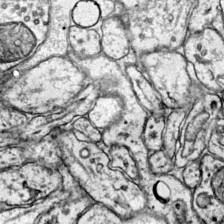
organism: Mouse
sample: Primary visual cortex